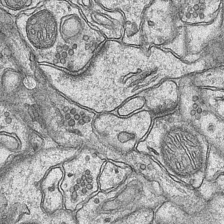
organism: Mouse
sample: CA1 Hippocampus